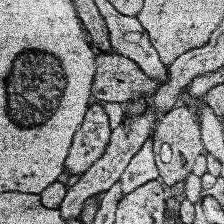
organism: Human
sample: Temporal Lobe